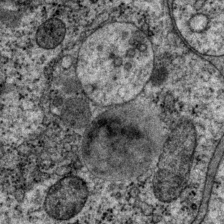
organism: P. pacificus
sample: Pharynx